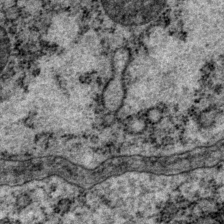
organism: P. pacificus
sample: Pharynx